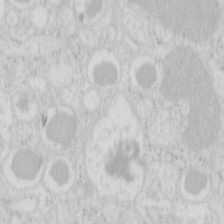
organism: Mouse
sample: Pancreas